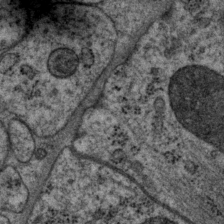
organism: P. pacificus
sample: Pharynx